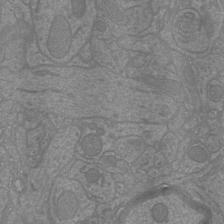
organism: Mouse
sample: Cortical neurons